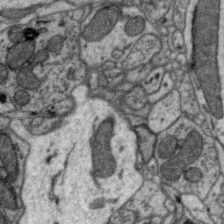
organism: Zebra finch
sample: Brain